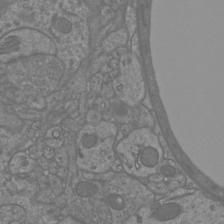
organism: Mouse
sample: Cortical neurons